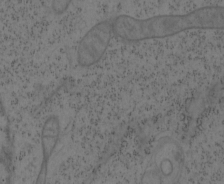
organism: Mouse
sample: OT-I killer T cells with ID8 ovarian cancer cells